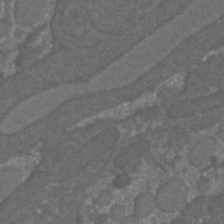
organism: C. elegans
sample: C. elegans embryo